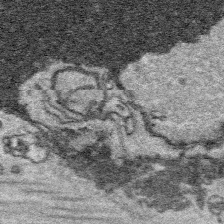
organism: Platynereis dumerilii